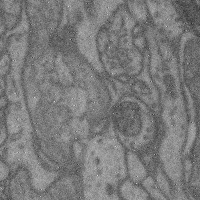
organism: Mouse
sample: Cerebral cortex